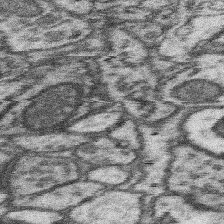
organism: Mouse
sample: Somatosensory cortex neuropil